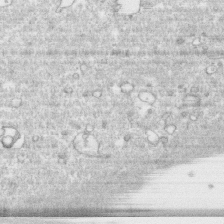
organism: Human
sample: CRL-1474